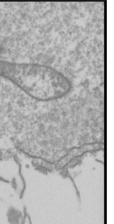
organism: Drosophila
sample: Cell division; meiosis; drosophila spermatocytes